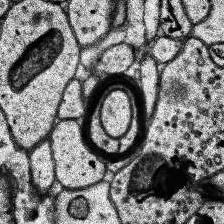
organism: Human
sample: Temporal Lobe